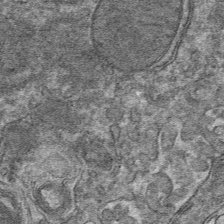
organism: Mouse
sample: Mouse hepatocytes